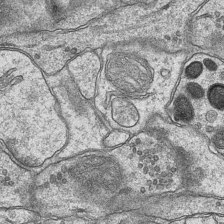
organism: Mouse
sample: CA1 Hippocampus